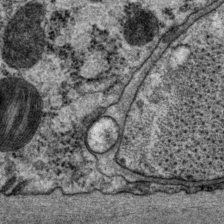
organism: P. pacificus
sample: Pharynx